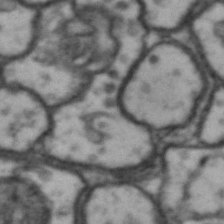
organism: Drosophila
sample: Brain